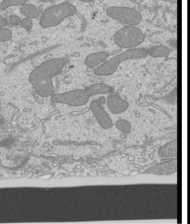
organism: Mouse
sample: Cilia; mouse epididymis